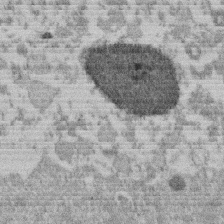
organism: Mouse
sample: Dividing mouse embryo 1 cell stage